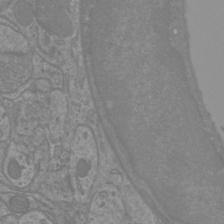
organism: Mouse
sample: Cortical neurons